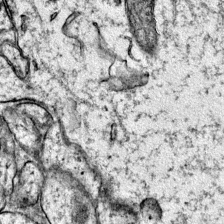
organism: Mouse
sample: Primary visual cortex